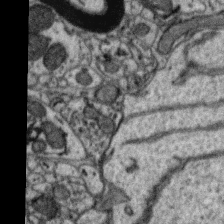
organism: Zebra finch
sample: Brain